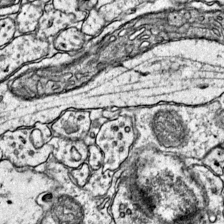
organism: Mouse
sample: Primary visual cortex